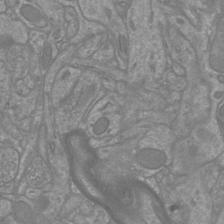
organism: Mouse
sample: Cortical neurons